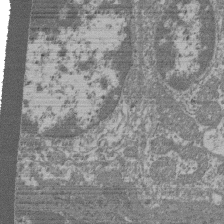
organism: Mouse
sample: Glomerulus